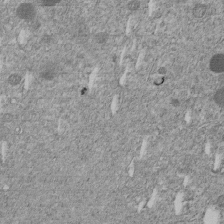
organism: C. elegans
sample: C. elegans embryo early stage